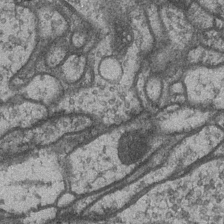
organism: Drosophila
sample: Optic medulla